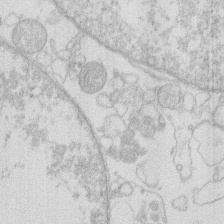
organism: Human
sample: Macrophage cells